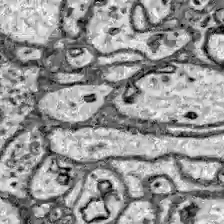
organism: Zebrafish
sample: Brain